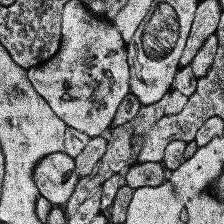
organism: Human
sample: Temporal Lobe